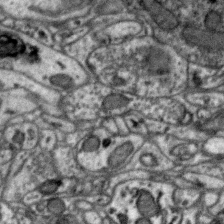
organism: Zebra finch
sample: Brain